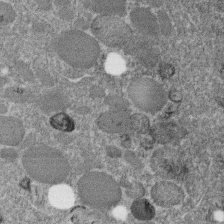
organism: C. elegans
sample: C. elegans embryo early stage